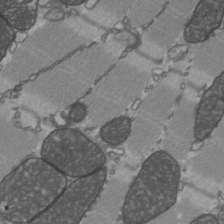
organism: C57BL Mouse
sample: Heart